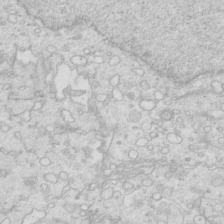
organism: Mouse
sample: Multiciliated cells